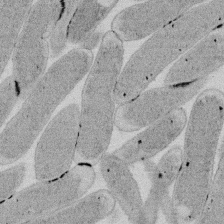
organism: E. coli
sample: Bacterial nucleoid